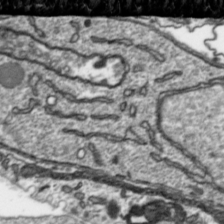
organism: Toxoplasma gondii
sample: Parasites in a vacuole inside a host cell